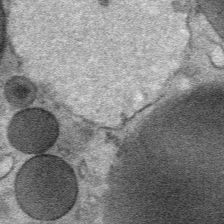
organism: Mouse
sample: Mouse Salivary gland